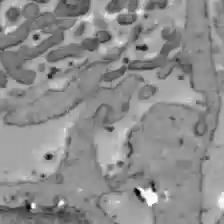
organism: C57BL Mouse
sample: Liver